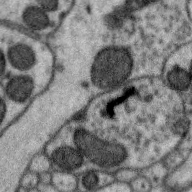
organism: Zebra finch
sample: Brain